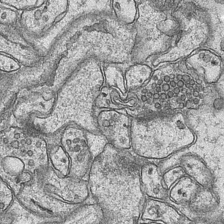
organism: Mouse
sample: CA1 Hippocampus